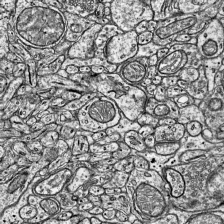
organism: Mouse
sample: Visual Cortex